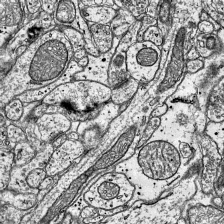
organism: Mouse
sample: Visual Cortex